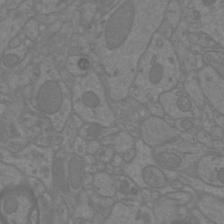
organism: Mouse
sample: Cortical neurons